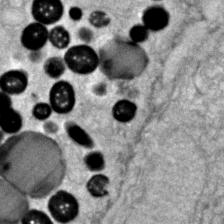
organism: Zebrafish